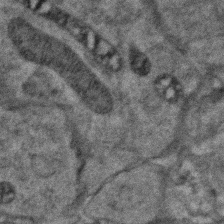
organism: Zebrafish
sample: Zebrafish embryo